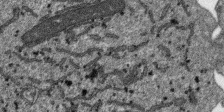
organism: Human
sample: Lung epithelial cells infected with SARS-CoV-2